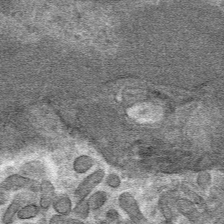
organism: Mouse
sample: Mouse hepatocytes